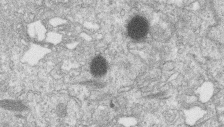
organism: Human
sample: HeLa cell HIV synapse